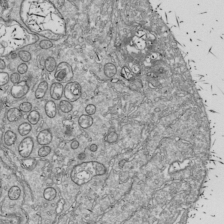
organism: Drosophila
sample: Cell division; meiosis; drosophila spermatocytes